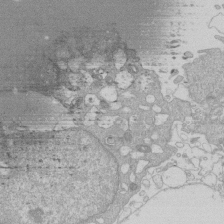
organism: Human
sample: Macrophage cells